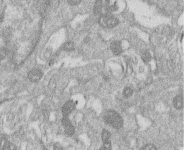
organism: Human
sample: Macrophage cells